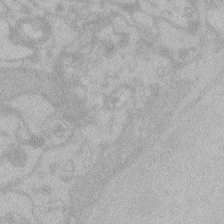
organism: Zebrafish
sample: Macrophage infected with Toxoplasma gondii